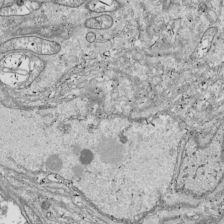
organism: Drosophila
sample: Cell division; meiosis; drosophila spermatocytes